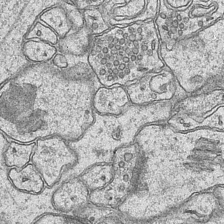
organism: Mouse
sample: CA1 Hippocampus